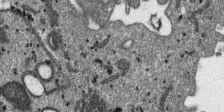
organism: Human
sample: Lung epithelial cells infected with SARS-CoV-2